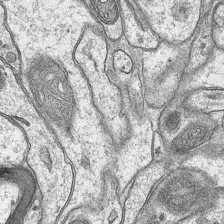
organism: Mouse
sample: CA1 Hippocampus